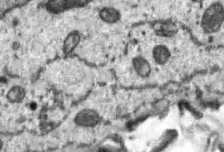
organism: Human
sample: HeLa cells